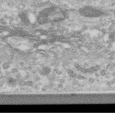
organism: Human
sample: Centriole in RPE cells